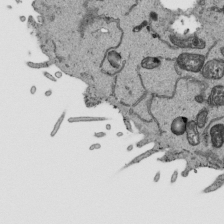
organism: Human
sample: Mitochondria in HCT116 cells